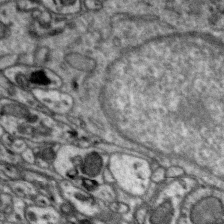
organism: Zebra finch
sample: Brain